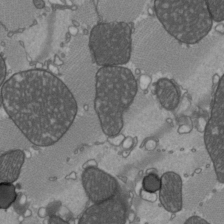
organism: C57BL Mouse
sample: Heart